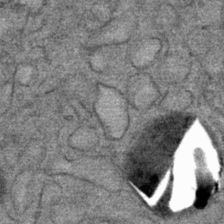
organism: Mouse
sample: Mouse Salivary gland